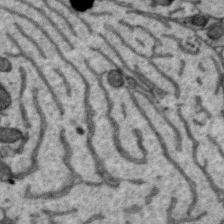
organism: Zebra finch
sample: Brain